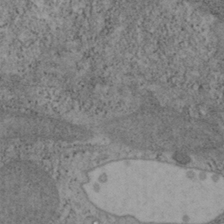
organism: Mouse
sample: OT-I killer T cells with ID8 ovarian cancer cells